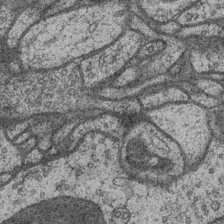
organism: Drosophila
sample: Optic medulla